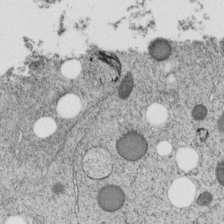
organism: C. elegans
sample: C. elegans embryo early stage